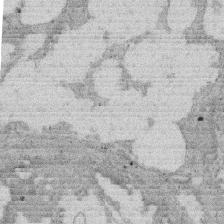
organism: Rat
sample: Salivary granule